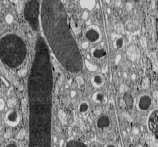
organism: C57BL Mouse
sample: Pancreatic islet